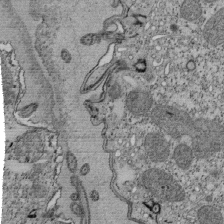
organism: Tetrahymena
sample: Cilia in tetrahymena